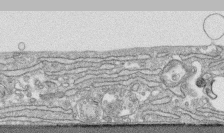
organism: Human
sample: CRL-1474